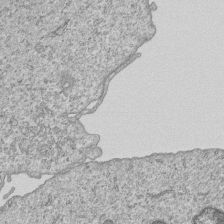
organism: Human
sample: MDA-MB-231 cells